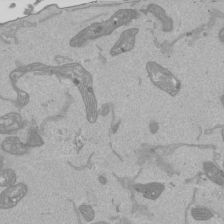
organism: Human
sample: Mitochondria in HCT116 cells